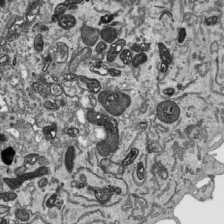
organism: Human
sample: Mitochondria in HCT116 cells